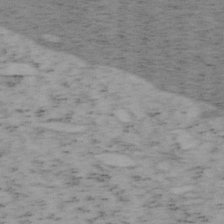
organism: Mouse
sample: OT-I killer T cells with ID8 ovarian cancer cells